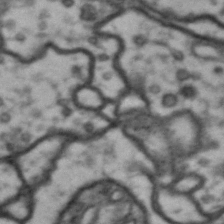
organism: Drosophila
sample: Brain